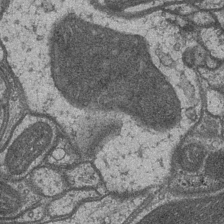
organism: Drosophila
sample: Optic medulla